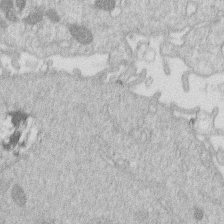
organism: Human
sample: Macrophage cells